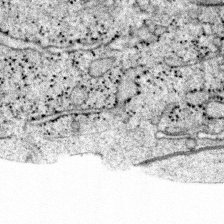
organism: Human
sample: HeLa cells